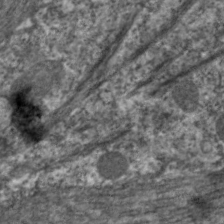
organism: C. elegans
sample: Pharynx